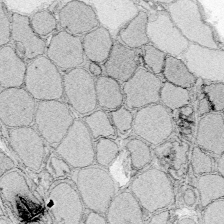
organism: Zebrafish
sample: Whole-Brain